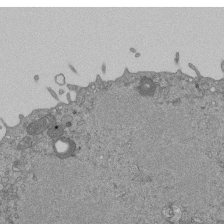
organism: Mouse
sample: ED-1 cell nuclei; centrioles